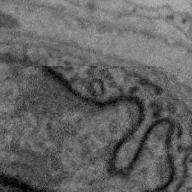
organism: Zebra finch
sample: Brain